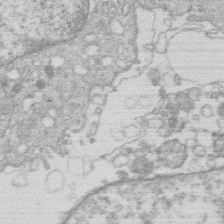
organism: Human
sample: Macrophage cells